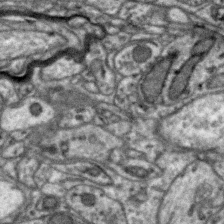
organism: Zebra finch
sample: Brain